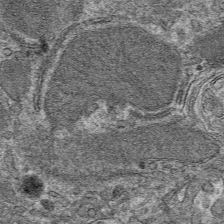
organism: Mouse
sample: Mouse hepatocytes